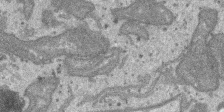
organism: Human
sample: Lung epithelial cells infected with SARS-CoV-2